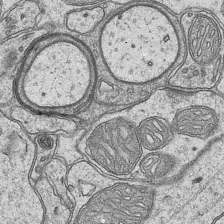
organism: Mouse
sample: CA1 Hippocampus